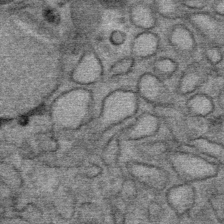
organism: Mouse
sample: Mouse Salivary gland